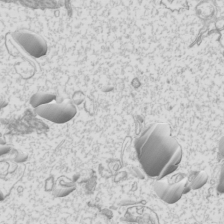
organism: Mouse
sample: Cilia; mouse epididymis